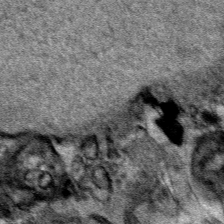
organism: Human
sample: Mitochondria in HCT116 cells